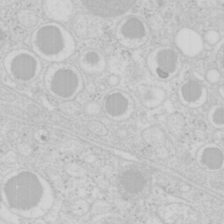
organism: Mouse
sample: Pancreas